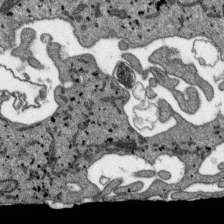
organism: Human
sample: Lung epithelial cells, uninfected (mock) control